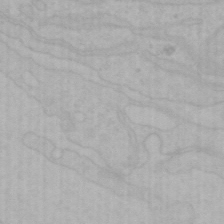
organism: Mouse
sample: Choroid plexus